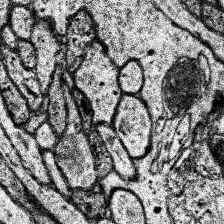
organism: Human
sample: Temporal Lobe